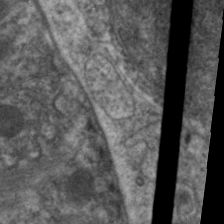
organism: C. elegans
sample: Pharynx